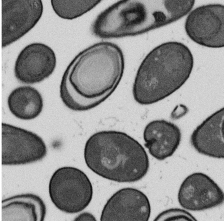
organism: B. subtilis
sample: Bacterial spore